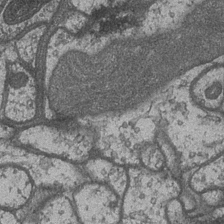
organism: Drosophila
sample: Optic medulla